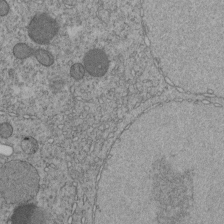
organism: C. elegans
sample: C. elegans embryo early stage